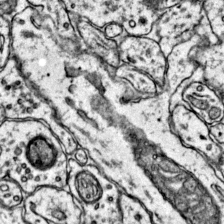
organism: Mouse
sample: Primary visual cortex